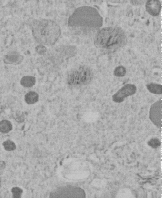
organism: C. elegans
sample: C. elegans embryo early stage